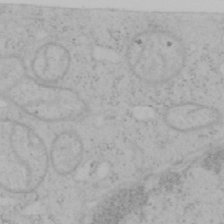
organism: Mouse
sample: OT-I killer T cells with ID8 ovarian cancer cells